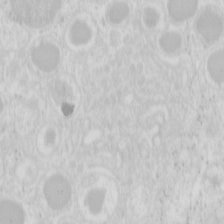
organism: Mouse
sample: Pancreas